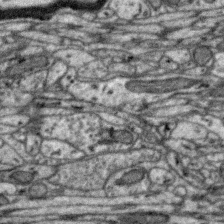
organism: Zebra finch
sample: Brain